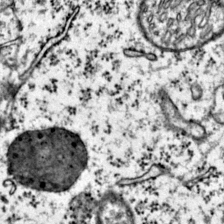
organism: Mouse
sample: Primary visual cortex